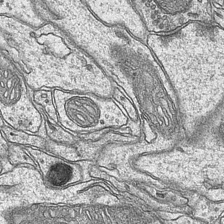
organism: Mouse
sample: CA1 Hippocampus